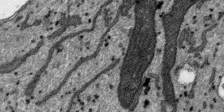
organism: Human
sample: Lung epithelial cells, uninfected (mock) control